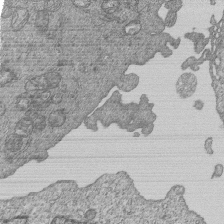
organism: Human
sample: MDA-MB-231 cells